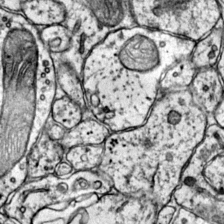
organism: Mouse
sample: Primary visual cortex